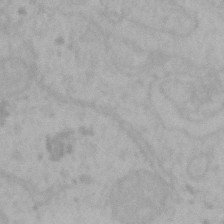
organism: Mouse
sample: Choroid plexus